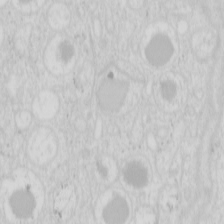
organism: Mouse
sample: Pancreas